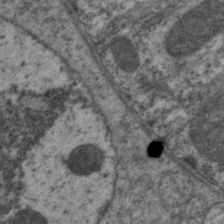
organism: C. elegans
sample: Pharynx